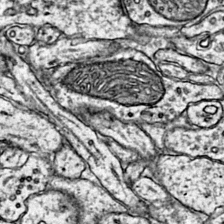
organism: Mouse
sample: Primary visual cortex